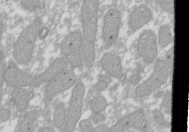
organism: Xenopus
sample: Cilia; centrioles in frog embryo cells